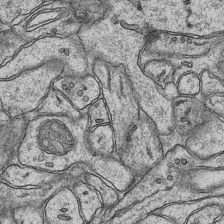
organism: Mouse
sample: CA1 Hippocampus